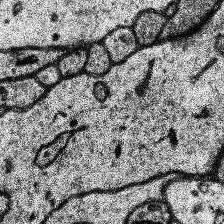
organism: Human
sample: Temporal Lobe